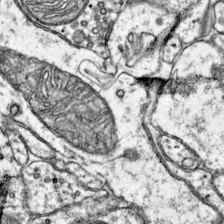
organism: Mouse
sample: Primary visual cortex